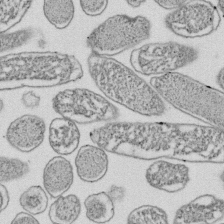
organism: E. coli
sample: Bacterial nucleoid